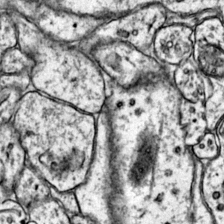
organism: Mouse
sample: Primary visual cortex